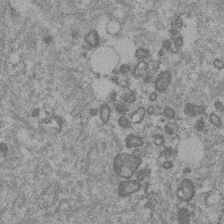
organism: Mouse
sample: Dividing mouse embryo 1 cell stage